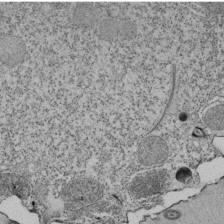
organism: Tetrahymena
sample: Cilia in tetrahymena